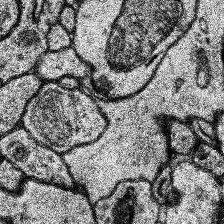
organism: Human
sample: Temporal Lobe